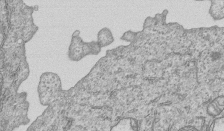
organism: Human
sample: MDA-MB-231 cells